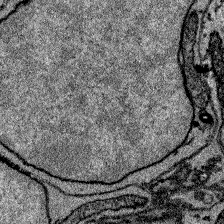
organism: Zebrafish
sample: Larval olfactory bulb